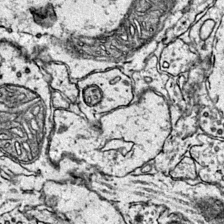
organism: Mouse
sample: Primary visual cortex